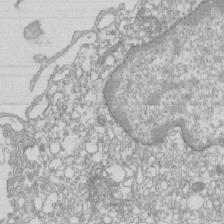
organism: Mouse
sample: Macrophages